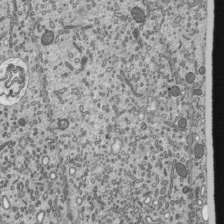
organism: Mouse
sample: Mouse epididymis efferent ductule cilia